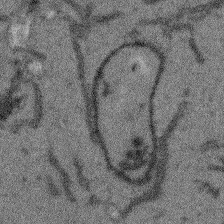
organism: Arabidopsis thaliana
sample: Root tip